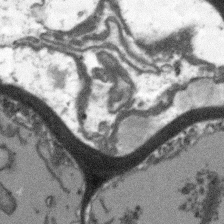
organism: Arabidopsis thaliana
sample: Root tip